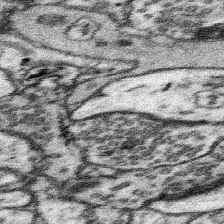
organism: Mouse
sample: Somatosensory cortex neuropil